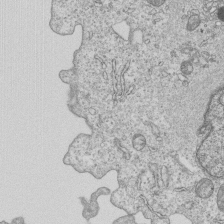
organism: Human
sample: MDA-MB-231 cells